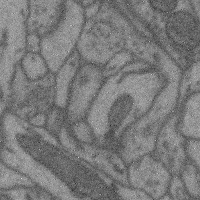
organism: Mouse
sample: Cerebral cortex